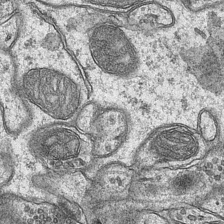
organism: Mouse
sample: CA1 Hippocampus